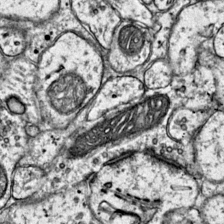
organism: Mouse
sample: Primary visual cortex